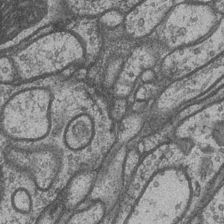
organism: Drosophila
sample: Optic medulla